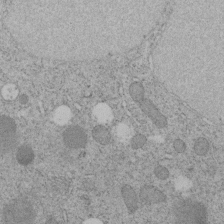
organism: C. elegans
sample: C. elegans embryo early stage